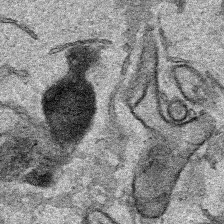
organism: Human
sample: Mitochondria in HCT116 cells